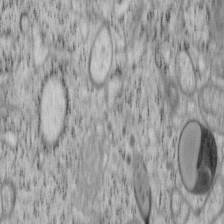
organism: Human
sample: HeLa cells